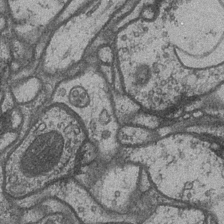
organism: Drosophila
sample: Optic medulla